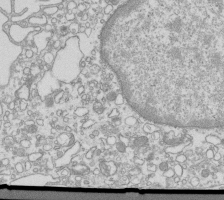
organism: Mouse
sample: Macrophages